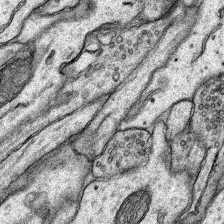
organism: Rat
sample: Hippocampus